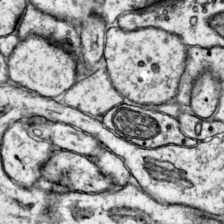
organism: Mouse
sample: Primary visual cortex